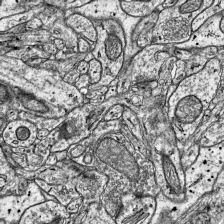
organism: Mouse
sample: Visual Cortex